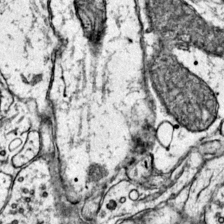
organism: Mouse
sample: Primary visual cortex